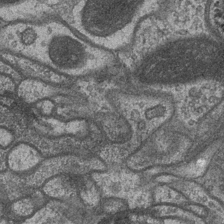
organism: Drosophila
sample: Optic medulla